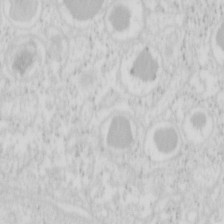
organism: Mouse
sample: Pancreas